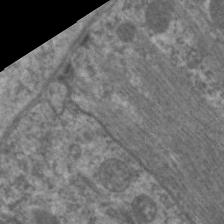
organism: C. elegans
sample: Pharynx